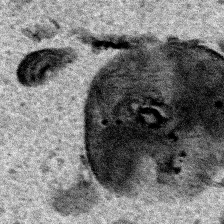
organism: Human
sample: Mitochondria in HCT116 cells